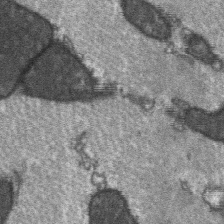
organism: C57BL Mouse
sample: Soleus